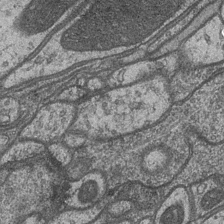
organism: Drosophila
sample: Optic medulla